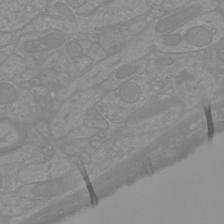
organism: Mouse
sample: Cortical neurons